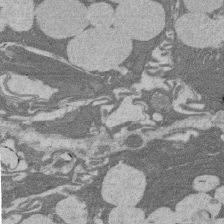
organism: Rat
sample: Salivary granule